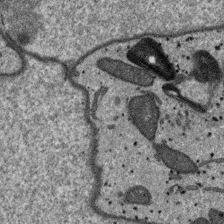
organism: Human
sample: Lung epithelial cells, uninfected (mock) control